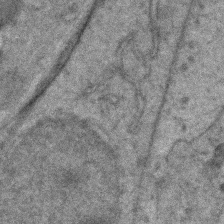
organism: Zebrafish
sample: Zebrafish embryo